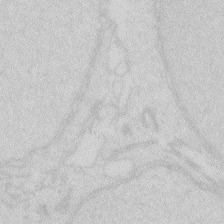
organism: Zebrafish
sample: Macrophage